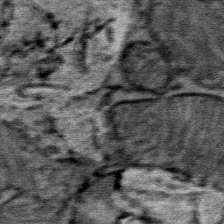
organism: Mouse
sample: Mouse Salivary gland